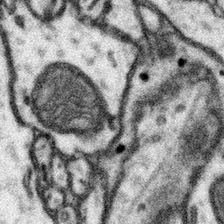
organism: Mouse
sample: Somatosensory cortex neuropil